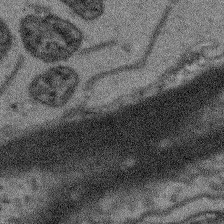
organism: Arabidopsis thaliana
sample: Root tip